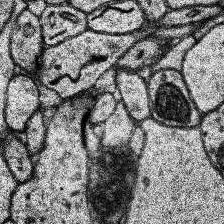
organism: Human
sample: Temporal Lobe